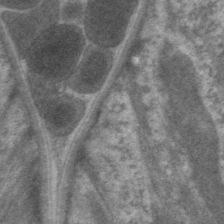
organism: C. elegans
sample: Pharynx